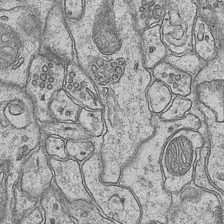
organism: Mouse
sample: CA1 Hippocampus